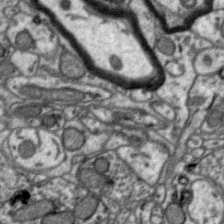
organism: Zebra finch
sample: Brain